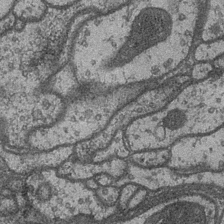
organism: Drosophila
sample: Optic medulla